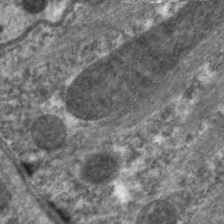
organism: C. elegans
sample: Pharynx